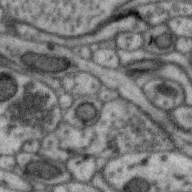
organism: Zebra finch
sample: Brain